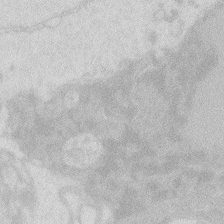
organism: Zebrafish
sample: Macrophage